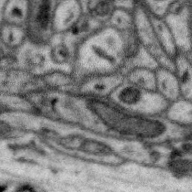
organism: Zebra finch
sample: Brain